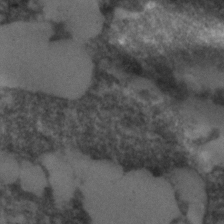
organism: C. elegans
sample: C. elegans embryo